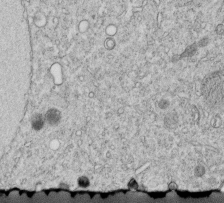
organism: C. elegans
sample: C. elegans embryo early stage